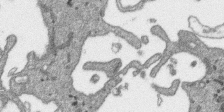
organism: Human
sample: Lung epithelial cells infected with SARS-CoV-2